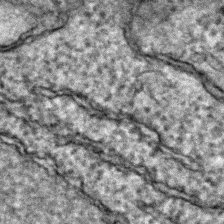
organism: Zebrafish